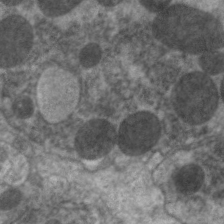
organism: C. elegans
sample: Pharynx